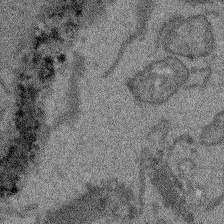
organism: Arabidopsis thaliana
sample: Root tip